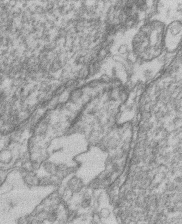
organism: Mouse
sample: T cell stromal cell synapse